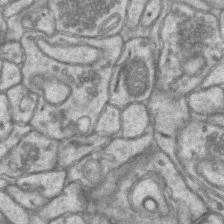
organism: Mouse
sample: CA1 Hippocampus